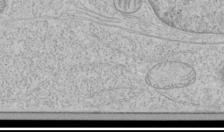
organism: Human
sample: Mitochondria in HCT116 cells